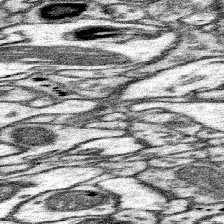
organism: Mouse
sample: Somatosensory cortex neuropil